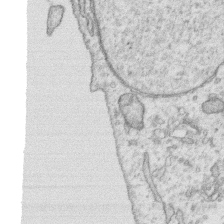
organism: Human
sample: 1205lu cells